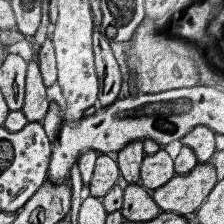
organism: Human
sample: Temporal Lobe